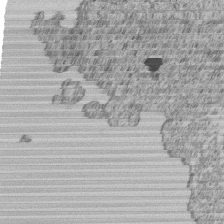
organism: Human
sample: MDA-MB-231 cells